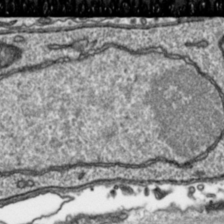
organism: Toxoplasma gondii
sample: Parasites in a vacuole inside a host cell